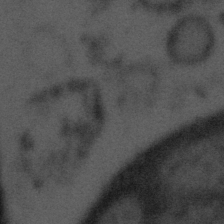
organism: Tuwongella immobilis